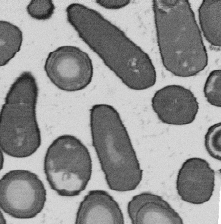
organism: B. subtilis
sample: Bacterial spore